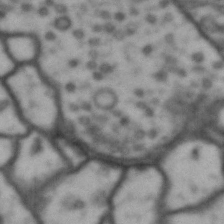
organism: Drosophila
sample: Brain